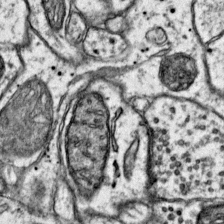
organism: Mouse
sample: Primary visual cortex